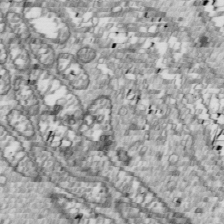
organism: Drosophila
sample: Cell division; meiosis; drosophila spermatocytes